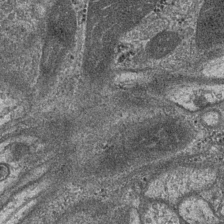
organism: Drosophila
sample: Optic medulla